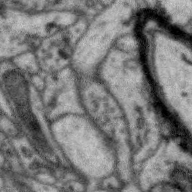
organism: Zebra finch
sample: Brain